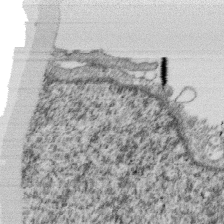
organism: African green monkey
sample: Vero E6 cells infected with SARS-CoV-2